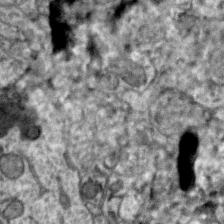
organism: Zebra finch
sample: Brain